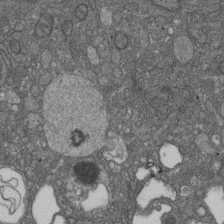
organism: Drosophila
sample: Nephrocyte